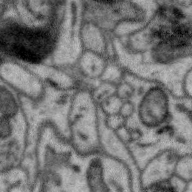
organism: Zebra finch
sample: Brain